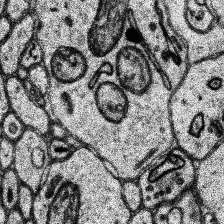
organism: Human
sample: Temporal Lobe